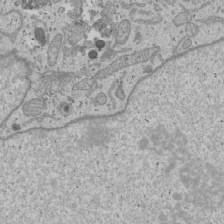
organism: Human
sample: Mitochondria in U2OS cells